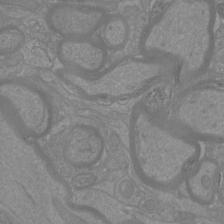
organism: Mouse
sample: Cortical neurons